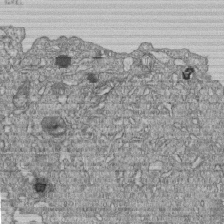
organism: Human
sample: MDA-MB-231 cells